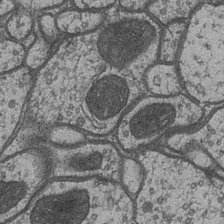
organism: Drosophila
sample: Optic medulla